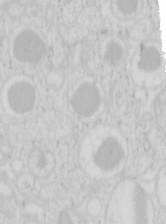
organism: Mouse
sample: Pancreas